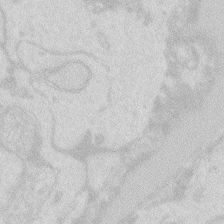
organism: Zebrafish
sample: Macrophage